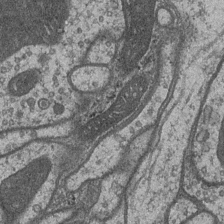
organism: Drosophila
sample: Optic medulla